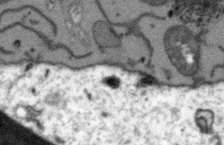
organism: Arabidopsis thaliana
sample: Root tip